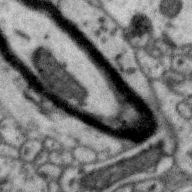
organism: Zebra finch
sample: Brain